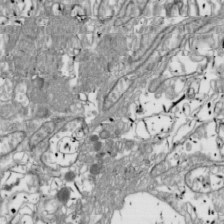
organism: Drosophila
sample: Cell division; meiosis; drosophila spermatocytes